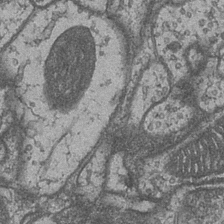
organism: Drosophila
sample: Optic medulla